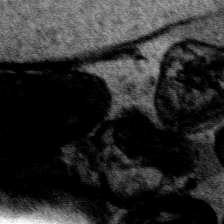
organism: Human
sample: Mitochondria in HCT116 cells